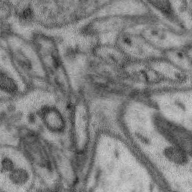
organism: Zebra finch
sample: Brain